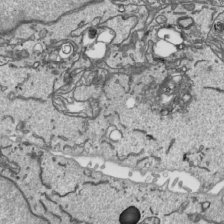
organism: Human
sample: Mitochondria in HCT116 cells